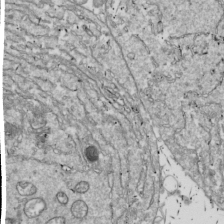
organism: Drosophila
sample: Cell division; meiosis; drosophila spermatocytes